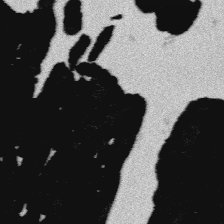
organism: Platynereis dumerilii